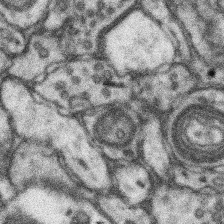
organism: Mouse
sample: Somatosensory cortex neuropil